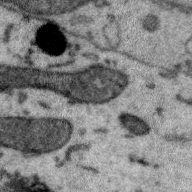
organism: Zebra finch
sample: Brain